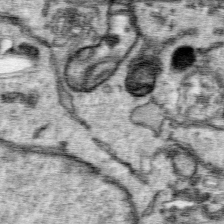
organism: Human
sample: HeLa cells